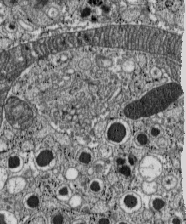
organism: C57BL Mouse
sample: Pancreatic islet